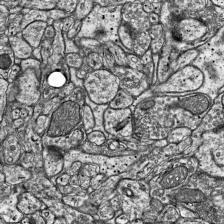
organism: Mouse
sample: Visual Cortex